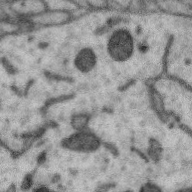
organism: Zebra finch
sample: Brain